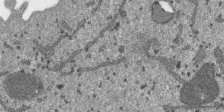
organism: Human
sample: Lung epithelial cells infected with SARS-CoV-2